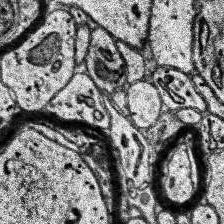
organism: Human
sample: Temporal Lobe